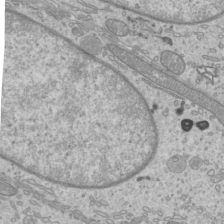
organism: Mouse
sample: Cilia; mouse epididymis